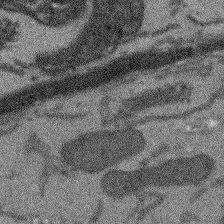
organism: Arabidopsis thaliana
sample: Root tip